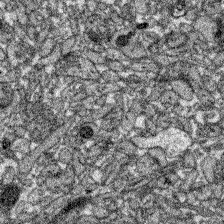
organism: Zebrafish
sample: Larval olfactory bulb